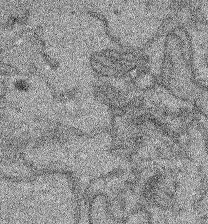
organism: Human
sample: HeLa cells